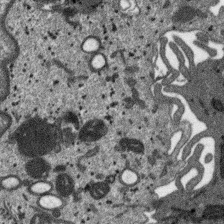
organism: Human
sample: Lung epithelial cells infected with SARS-CoV-2